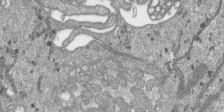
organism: Human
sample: Lung epithelial cells infected with SARS-CoV-2